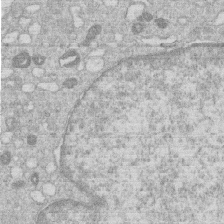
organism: Human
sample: Macrophage cells